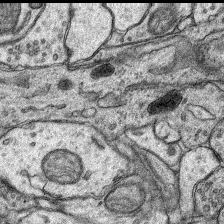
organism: Rat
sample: Hippocampus